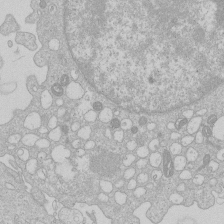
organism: Human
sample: Macrophage cells